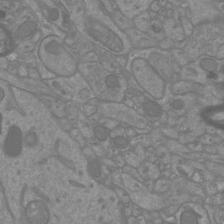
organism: Mouse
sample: Cortical neurons